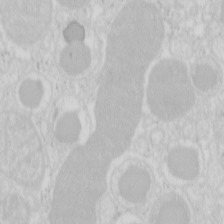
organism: Mouse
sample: Pancreas